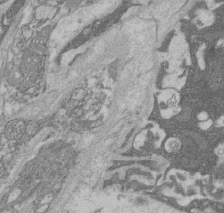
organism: Rat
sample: Salivary granule